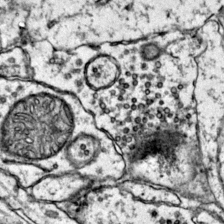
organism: Mouse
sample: Primary visual cortex